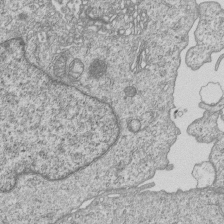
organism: Human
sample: MDA-MB-231 cells